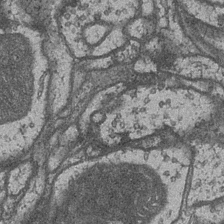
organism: Drosophila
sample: Optic medulla